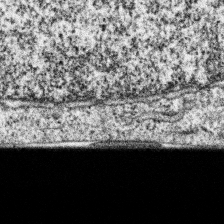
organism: Human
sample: HeLa cells